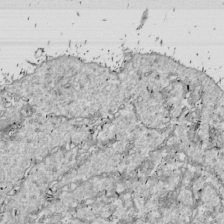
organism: Drosophila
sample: Cell division; meiosis; drosophila spermatocytes